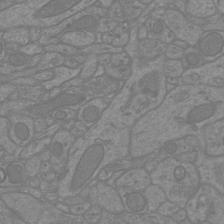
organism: Mouse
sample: Cortical neurons